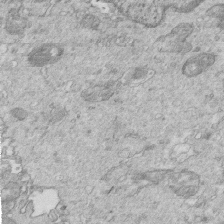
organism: Mouse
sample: Multiciliated cells